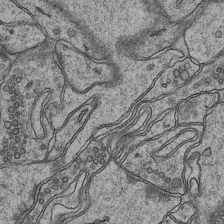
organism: Mouse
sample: CA1 Hippocampus